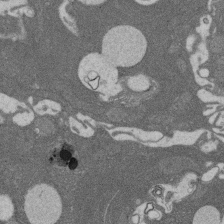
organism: Rat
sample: Salivary granule